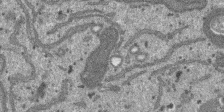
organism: Human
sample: Lung epithelial cells infected with SARS-CoV-2